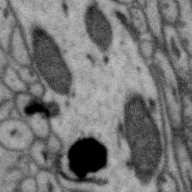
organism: Zebra finch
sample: Brain